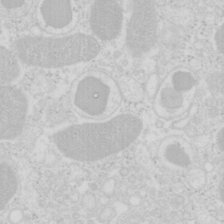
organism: Mouse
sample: Pancreas